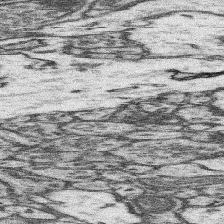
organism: Mouse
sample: Somatosensory cortex neuropil